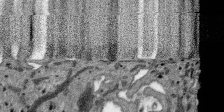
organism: Human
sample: Lung epithelial cells, uninfected (mock) control